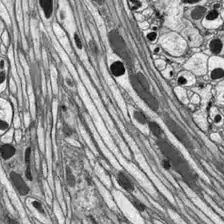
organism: Drosophila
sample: Optic lobe